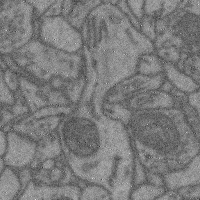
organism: Mouse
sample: Cerebral cortex